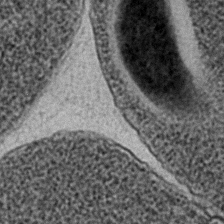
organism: C. elegans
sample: C. elegans embryo